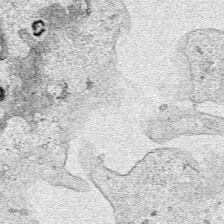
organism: Human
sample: Mitochondria in HCT116 cells